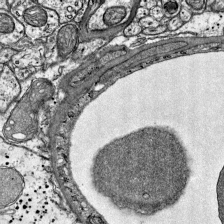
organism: Mouse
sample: Visual Cortex